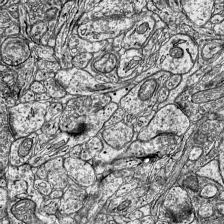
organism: Mouse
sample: Visual Cortex